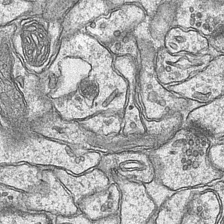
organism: Mouse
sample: CA1 Hippocampus